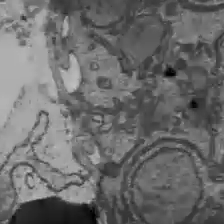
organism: C57BL Mouse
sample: Liver